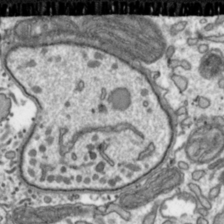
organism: Toxoplasma gondii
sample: Parasites in a vacuole inside a host cell